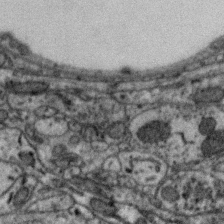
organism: Zebra finch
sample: Brain